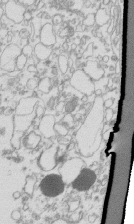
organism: Mouse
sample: Macrophages